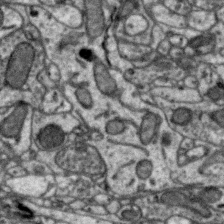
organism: Zebra finch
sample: Brain